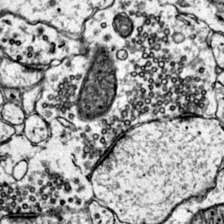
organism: Mouse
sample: Primary visual cortex